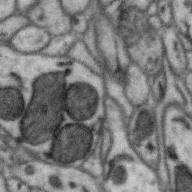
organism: Zebra finch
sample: Brain